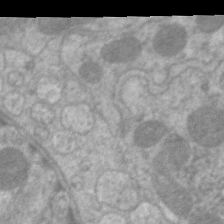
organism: C. elegans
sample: Pharynx